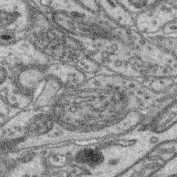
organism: Mouse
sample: Retina